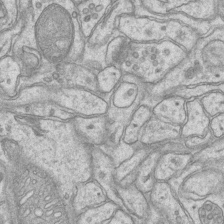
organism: Mouse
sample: CA1 Hippocampus